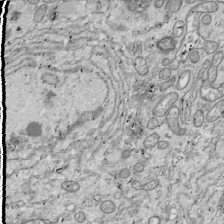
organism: Drosophila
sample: Cell division; meiosis; drosophila spermatocytes